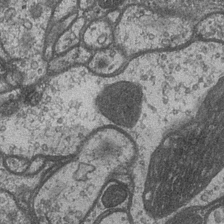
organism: Drosophila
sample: Optic medulla